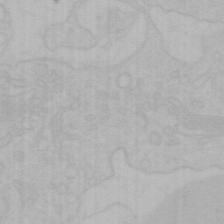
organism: Mouse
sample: Choroid plexus